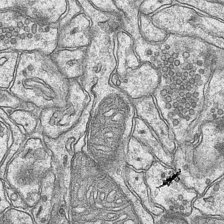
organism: Mouse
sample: CA1 Hippocampus